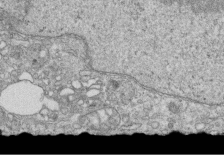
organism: Human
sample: HeLa cell HIV synapse